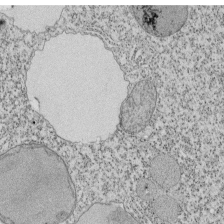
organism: Tetrahymena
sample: Cilia in tetrahymena